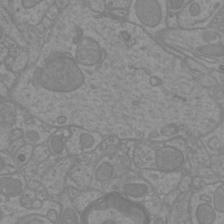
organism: Mouse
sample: Cortical neurons